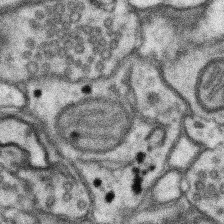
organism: Mouse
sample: Somatosensory cortex neuropil